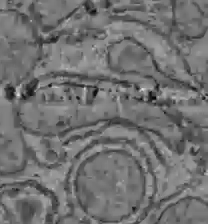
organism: C57BL Mouse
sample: Liver